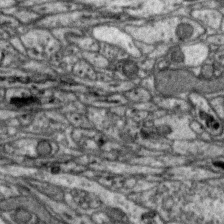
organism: Zebra finch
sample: Brain